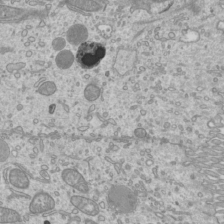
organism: Mouse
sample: Cilia; mouse epididymis